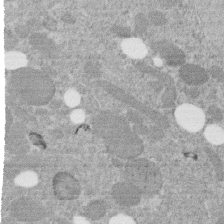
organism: C. elegans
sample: C. elegans embryo early stage